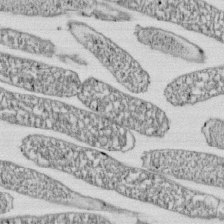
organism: E. coli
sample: Bacterial nucleoid